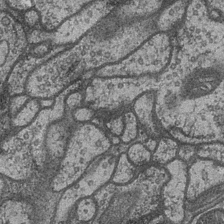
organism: Drosophila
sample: Optic medulla